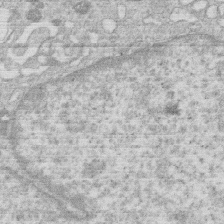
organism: Human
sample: Macrophage cells